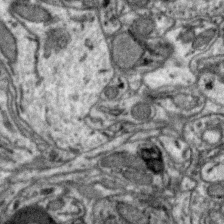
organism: Zebra finch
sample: Brain